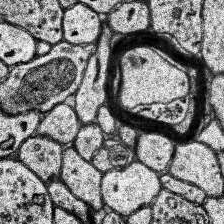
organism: Human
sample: Temporal Lobe